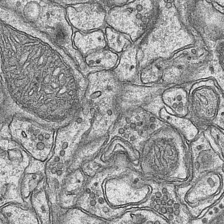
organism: Mouse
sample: CA1 Hippocampus